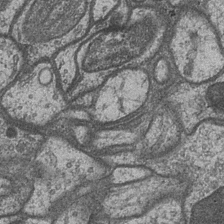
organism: Drosophila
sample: Optic medulla